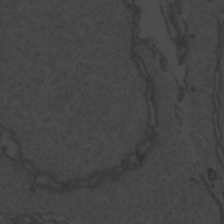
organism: Zebrafish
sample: Macrophage infected with Toxoplasma gondii